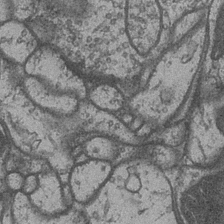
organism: Drosophila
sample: Optic medulla